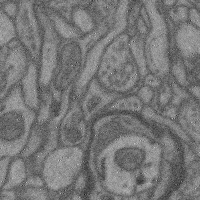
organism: Mouse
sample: Cerebral cortex